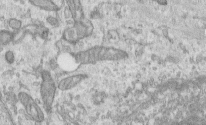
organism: Human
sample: Centriole in RPE cells